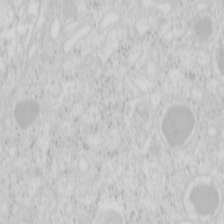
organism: Mouse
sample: Pancreas